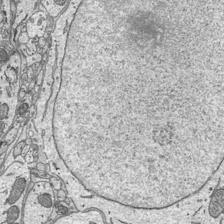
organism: Mouse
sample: Suprachiasmatic nucleus